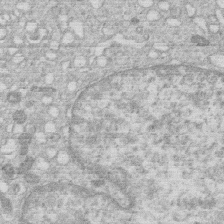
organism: Human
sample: Macrophage cells